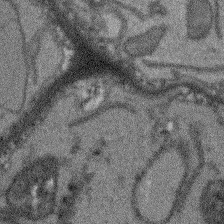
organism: Arabidopsis thaliana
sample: Root tip